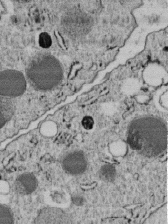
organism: C. elegans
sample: C. elegans embryo early stage